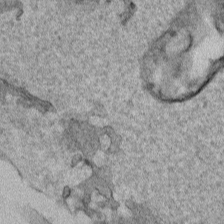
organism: Human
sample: Mitochondria in HCT116 cells